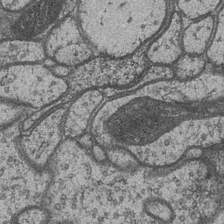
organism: Drosophila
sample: Optic medulla